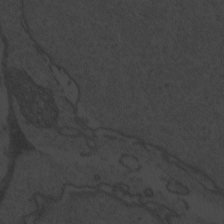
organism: Zebrafish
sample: Macrophage infected with Toxoplasma gondii